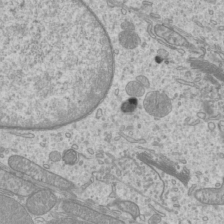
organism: Mouse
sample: Cilia; mouse epididymis